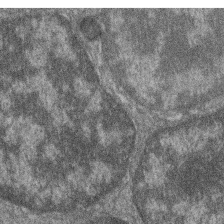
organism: Zebrafish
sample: Cilia; retinal pigment epithelium